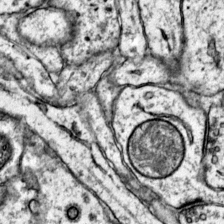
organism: Mouse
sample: Primary visual cortex